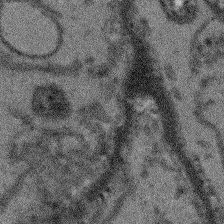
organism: Arabidopsis thaliana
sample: Root tip